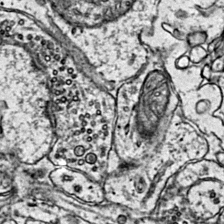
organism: Mouse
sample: Primary visual cortex